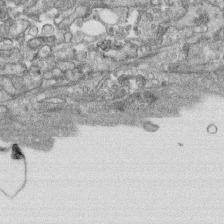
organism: Human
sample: CRL-1474